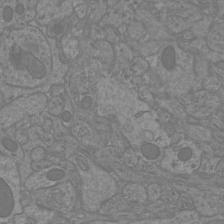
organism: Mouse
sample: Cortical neurons